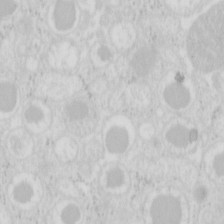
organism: Mouse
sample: Pancreas